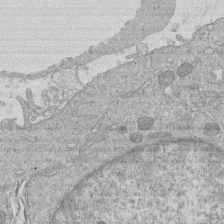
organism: Human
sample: Macrophage cells